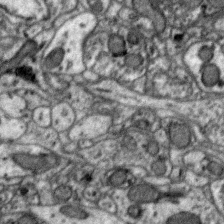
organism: Zebra finch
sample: Brain